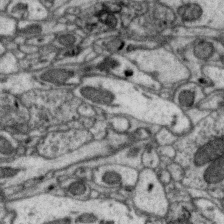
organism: Zebra finch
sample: Brain